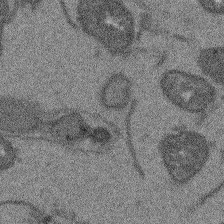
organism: Arabidopsis thaliana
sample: Root tip